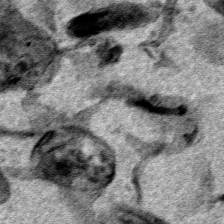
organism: Human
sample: Mitochondria in HCT116 cells